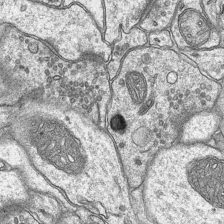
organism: Mouse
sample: CA1 Hippocampus